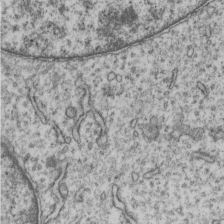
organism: Human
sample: MDA-MB-231 cells